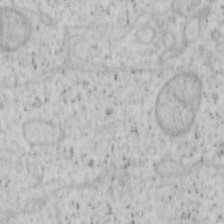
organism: Human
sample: HeLa cells